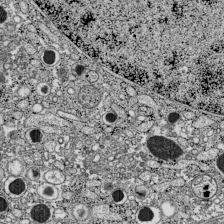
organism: C57BL Mouse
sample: Pancreatic islet